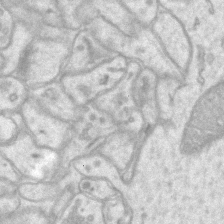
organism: Mouse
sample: CA1 Hippocampus